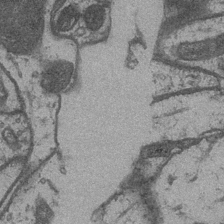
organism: Drosophila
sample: Optic medulla